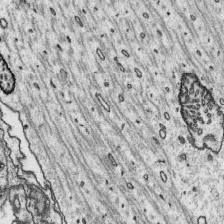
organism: Platynereis dumerilii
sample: Parapodia